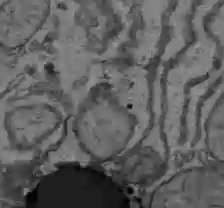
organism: C57BL Mouse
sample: Liver